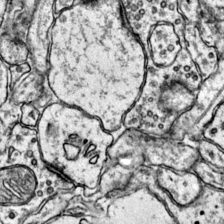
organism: Mouse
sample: Primary visual cortex